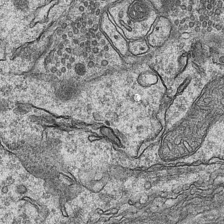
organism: Mouse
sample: CA1 Hippocampus